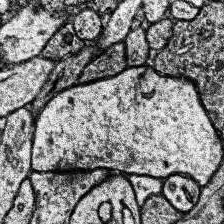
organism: Human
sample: Temporal Lobe